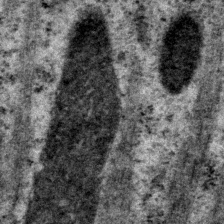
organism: P. pacificus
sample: Pharynx